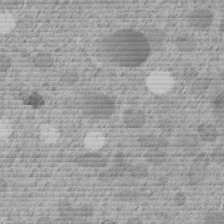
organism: C. elegans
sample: C. elegans embryo early stage